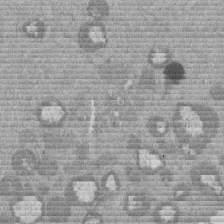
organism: Mouse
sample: Dividing mouse embryo 1 cell stage